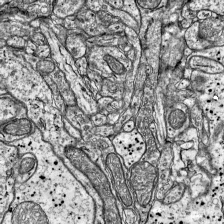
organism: Mouse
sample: Visual Cortex